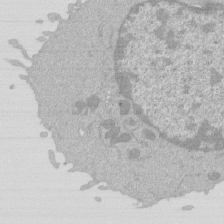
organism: Mouse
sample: Activated Pmel transgenic CD8+ T Cells